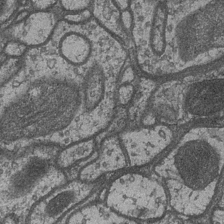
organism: Drosophila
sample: Optic medulla